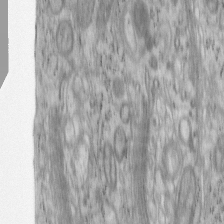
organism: Human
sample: HeLa cells